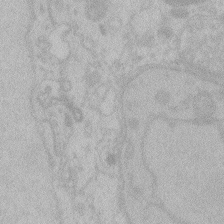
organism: Zebrafish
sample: Macrophage infected with Toxoplasma gondii